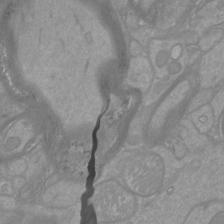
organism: Mouse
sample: Cortical neurons